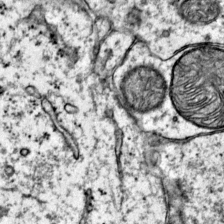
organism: Mouse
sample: Primary visual cortex